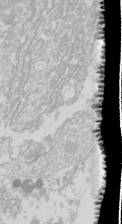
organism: Drosophila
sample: Cell division; meiosis; drosophila spermatocytes